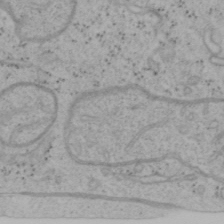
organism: Human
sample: HeLa cells